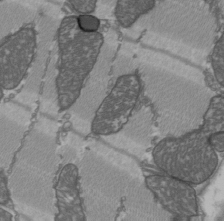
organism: C57BL Mouse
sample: Heart